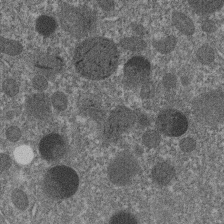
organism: C. elegans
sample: C. elegans embryo early stage